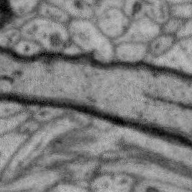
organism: Zebra finch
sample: Brain